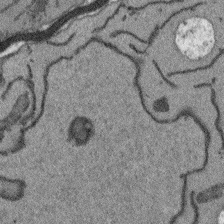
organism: Arabidopsis thaliana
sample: Root tip